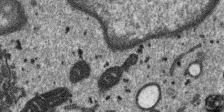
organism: Human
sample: Lung epithelial cells infected with SARS-CoV-2